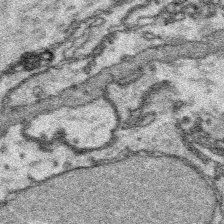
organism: Platynereis dumerilii